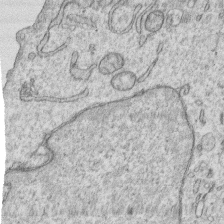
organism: Human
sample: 1205lu cells